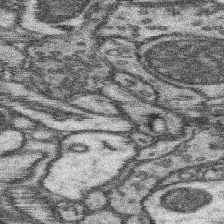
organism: Mouse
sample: Somatosensory cortex neuropil